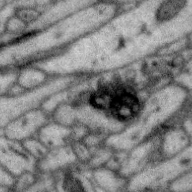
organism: Zebra finch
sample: Brain